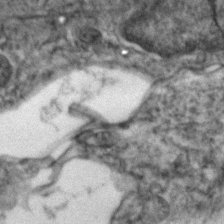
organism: Zebrafish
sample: Zebrafish embryo